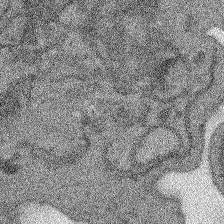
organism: Human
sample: HeLa cells